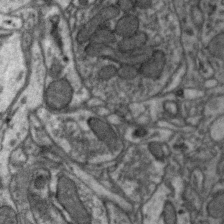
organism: Zebra finch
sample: Brain